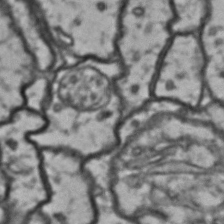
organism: Drosophila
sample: Brain